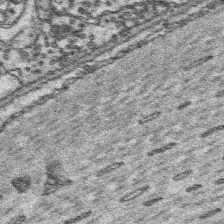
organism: Platynereis dumerilii